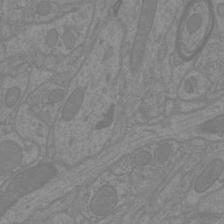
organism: Mouse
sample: Cortical neurons